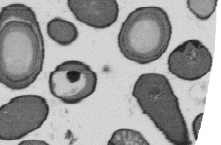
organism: B. subtilis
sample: Bacterial spore